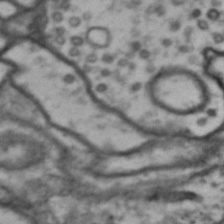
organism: Drosophila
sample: Brain